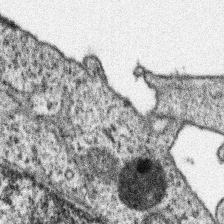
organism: Human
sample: HeLa cells